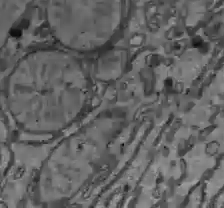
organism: C57BL Mouse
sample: Liver